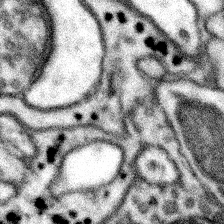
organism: Mouse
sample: Somatosensory cortex neuropil